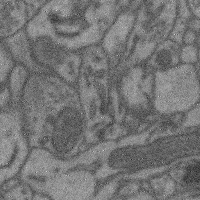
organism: Mouse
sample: Cerebral cortex